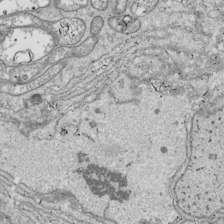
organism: Drosophila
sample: Cell division; meiosis; drosophila spermatocytes